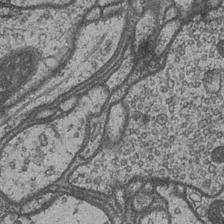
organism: Drosophila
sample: Optic medulla